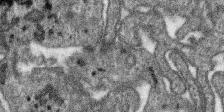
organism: Human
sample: Lung epithelial cells infected with SARS-CoV-2